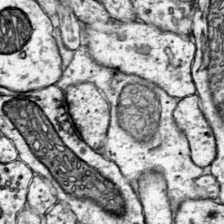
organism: Mouse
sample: Primary visual cortex